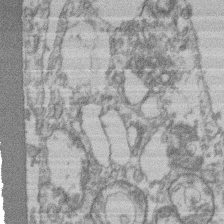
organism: Mouse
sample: T cell stromal cell synapse